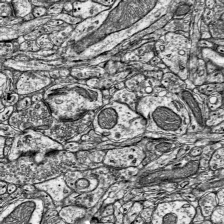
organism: Mouse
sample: Visual Cortex